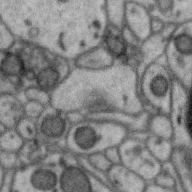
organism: Zebra finch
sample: Brain